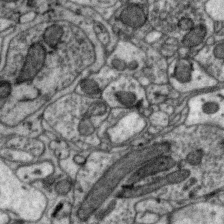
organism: Zebra finch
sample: Brain